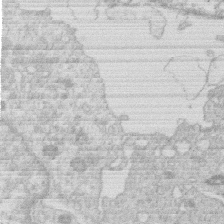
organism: Human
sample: Macrophage cells